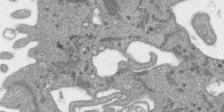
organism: Human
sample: Lung epithelial cells infected with SARS-CoV-2